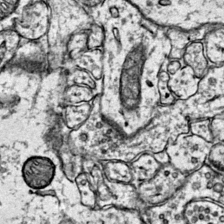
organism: Mouse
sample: Primary visual cortex